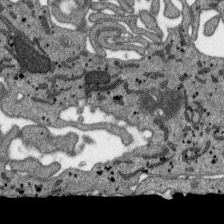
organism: Human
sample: Lung epithelial cells, uninfected (mock) control